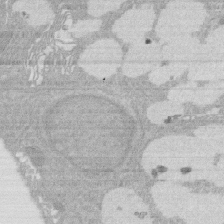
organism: Rat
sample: Salivary granule